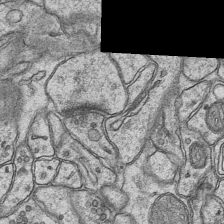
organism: Mouse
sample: CA1 Hippocampus